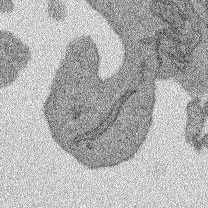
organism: Human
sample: HeLa cells